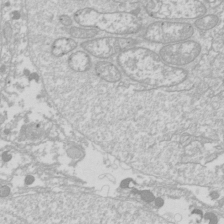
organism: Drosophila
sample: Cell division; meiosis; drosophila spermatocytes